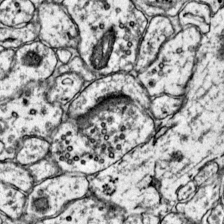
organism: Mouse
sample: Primary visual cortex